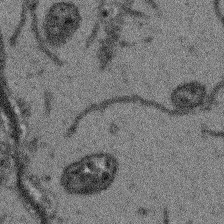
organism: Arabidopsis thaliana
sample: Root tip